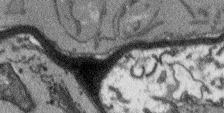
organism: Arabidopsis thaliana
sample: Root tip